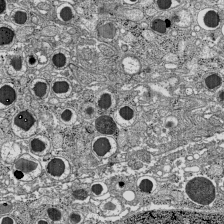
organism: C57BL Mouse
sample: Pancreatic islet